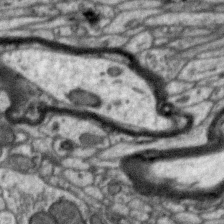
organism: Zebra finch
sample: Brain